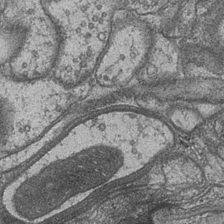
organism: Drosophila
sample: Optic medulla